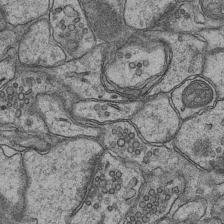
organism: Mouse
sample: CA1 Hippocampus